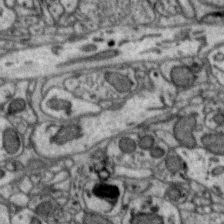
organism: Zebra finch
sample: Brain